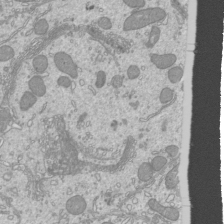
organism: Mouse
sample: Cilia; mouse epididymis